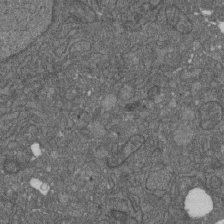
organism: Drosophila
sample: Nephrocyte